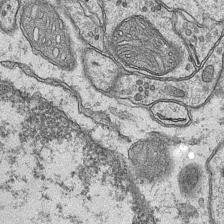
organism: Mouse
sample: CA1 Hippocampus